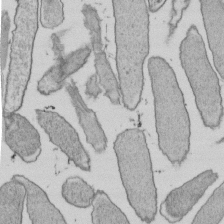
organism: E. coli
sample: Bacterial nucleoid